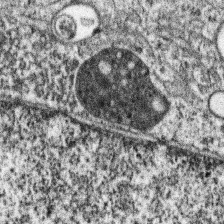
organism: Human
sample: HeLa cells